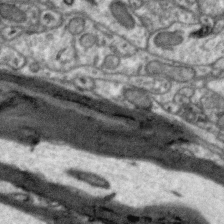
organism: Zebra finch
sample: Brain